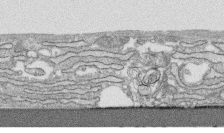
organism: Human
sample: CRL-1474